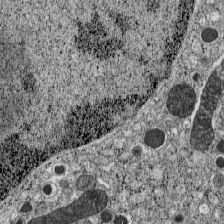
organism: C57BL Mouse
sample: Pancreatic islet